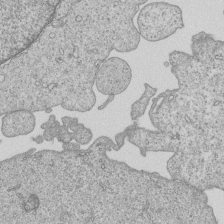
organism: Human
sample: MDA-MB-231 cells